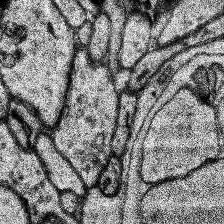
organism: Human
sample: Temporal Lobe